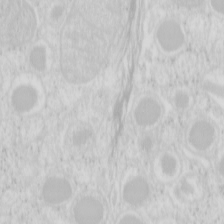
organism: Mouse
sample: Pancreas